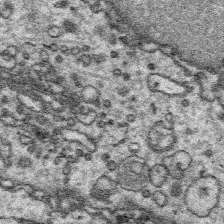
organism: Platynereis dumerilii